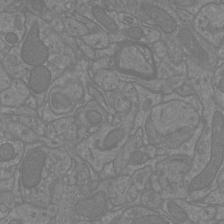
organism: Mouse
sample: Cortical neurons